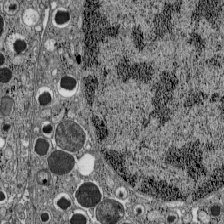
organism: C57BL Mouse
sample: Pancreatic islet